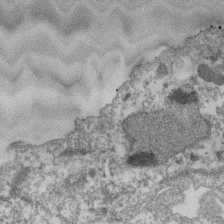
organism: Dictyostelium discoideum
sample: Dictyostelium multivesicular bodies